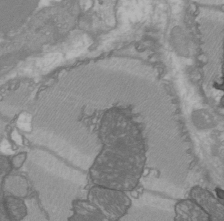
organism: C57BL Mouse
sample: Heart